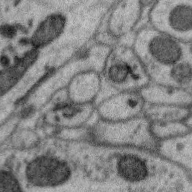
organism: Zebra finch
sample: Brain